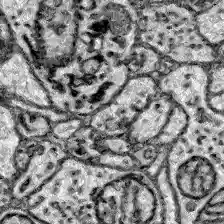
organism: Zebrafish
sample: Brain